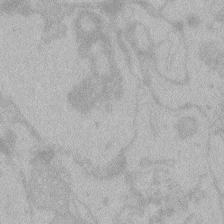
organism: Zebrafish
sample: Macrophage infected with Toxoplasma gondii